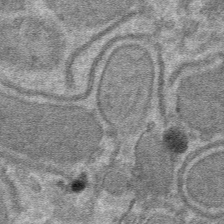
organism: Mouse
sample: Mouse hepatocytes